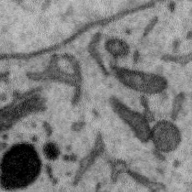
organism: Zebra finch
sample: Brain